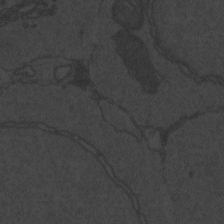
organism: Zebrafish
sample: Macrophage infected with Toxoplasma gondii